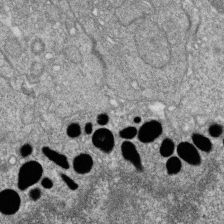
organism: Zebrafish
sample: Cilia; retinal pigment epithelium